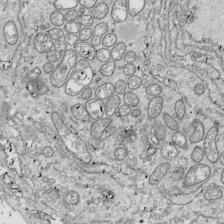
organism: Drosophila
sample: Cell division; meiosis; drosophila spermatocytes